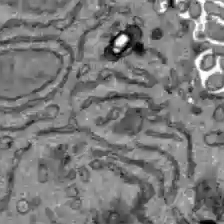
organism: C57BL Mouse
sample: Liver